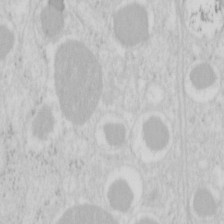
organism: Mouse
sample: Pancreas